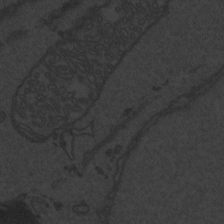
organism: Zebrafish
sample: Macrophage infected with Toxoplasma gondii